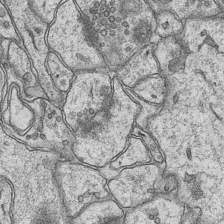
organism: Mouse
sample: CA1 Hippocampus